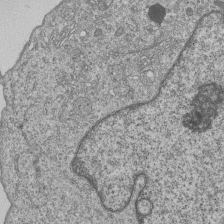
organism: Human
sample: MDA-MB-231 cells